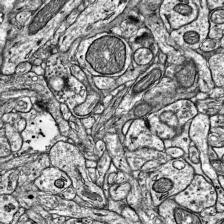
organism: Mouse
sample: Visual Cortex